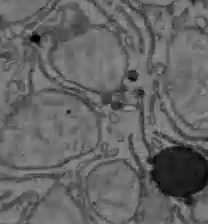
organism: C57BL Mouse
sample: Liver